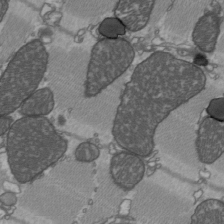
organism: C57BL Mouse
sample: Heart